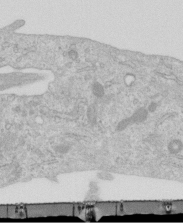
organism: Human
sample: Centriole in RPE cells